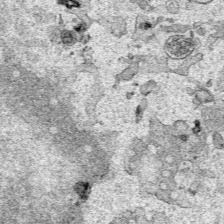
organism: Human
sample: Mitochondria in HCT116 cells